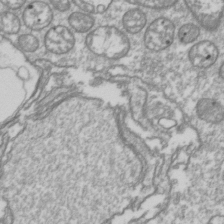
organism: Drosophila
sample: Cell division; meiosis; drosophila spermatocytes